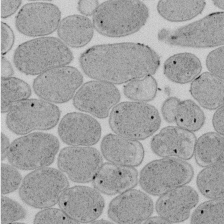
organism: E. coli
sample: Bacterial nucleoid